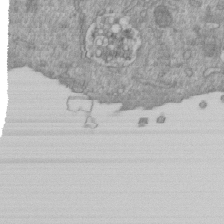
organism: Mouse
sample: ED-1 cell nuclei; centrioles